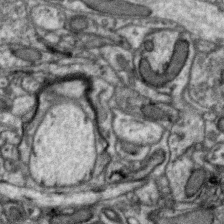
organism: Zebra finch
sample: Brain